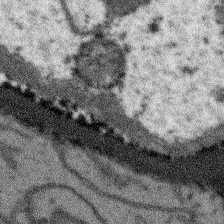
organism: Arabidopsis thaliana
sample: Root tip